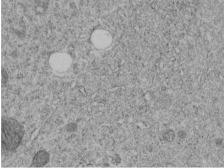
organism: C. elegans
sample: C. elegans embryo early stage